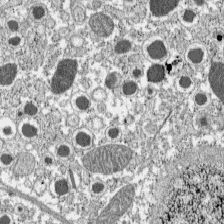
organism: C57BL Mouse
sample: Pancreatic islet